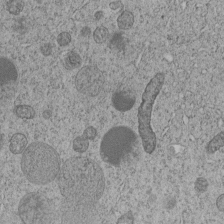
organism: C. elegans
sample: C. elegans embryo early stage